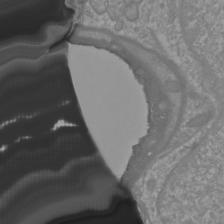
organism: Mouse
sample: Cortical neurons